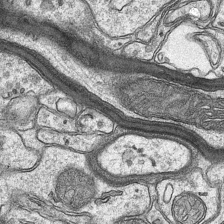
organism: Mouse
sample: CA1 Hippocampus